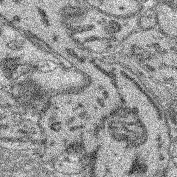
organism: Mouse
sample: Retina